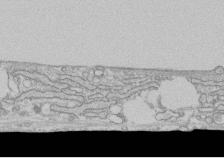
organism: Human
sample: CRL-1474